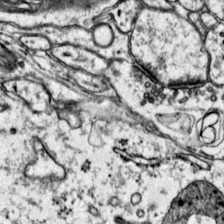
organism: Mouse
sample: Primary visual cortex